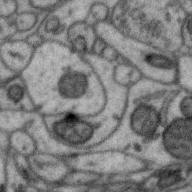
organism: Zebra finch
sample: Brain